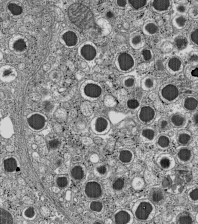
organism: C57BL Mouse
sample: Pancreatic islet